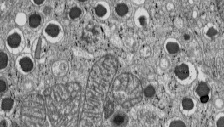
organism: C57BL Mouse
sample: Pancreatic islet